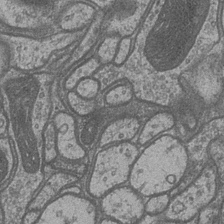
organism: Drosophila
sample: Optic medulla